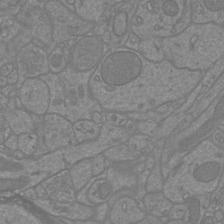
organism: Mouse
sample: Cortical neurons